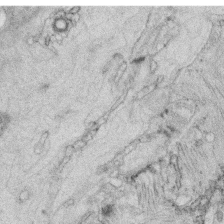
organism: C. elegans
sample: C. elegans oocyte; sperm cells